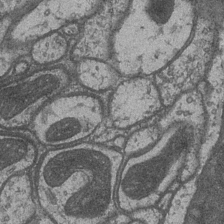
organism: Drosophila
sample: Optic medulla